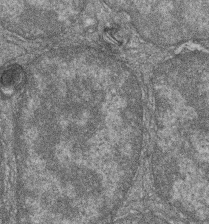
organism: Zebrafish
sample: Cilia; retinal pigment epithelium